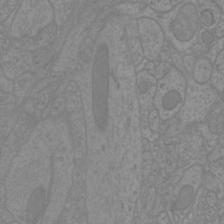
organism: Mouse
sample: Cortical neurons